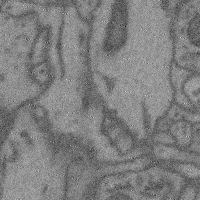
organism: Mouse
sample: Cerebral cortex